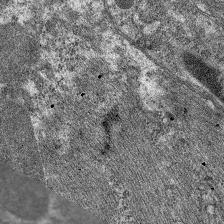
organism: C. elegans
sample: Pharynx